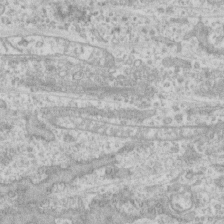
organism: Human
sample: CRL-1474